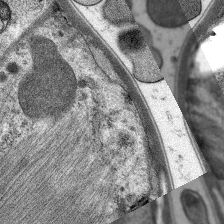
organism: C. elegans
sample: Pharynx